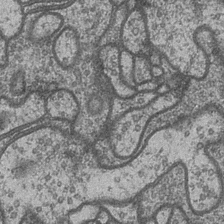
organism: Drosophila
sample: Optic medulla